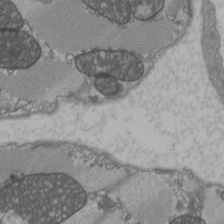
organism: C57BL Mouse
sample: Heart